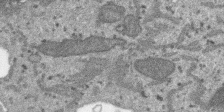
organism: Human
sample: Lung epithelial cells infected with SARS-CoV-2